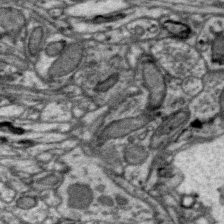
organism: Zebra finch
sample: Brain